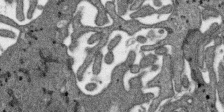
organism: Human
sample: Lung epithelial cells, uninfected (mock) control